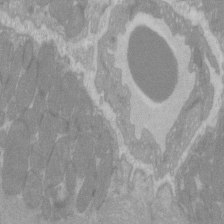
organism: C57BL Mouse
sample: Tibialis anterior muscle cell